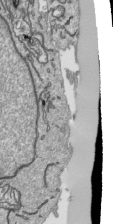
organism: Human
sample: Mitochondria in HCT116 cells